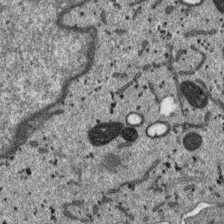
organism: Human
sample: Lung epithelial cells infected with SARS-CoV-2